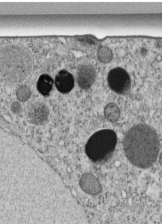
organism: C. elegans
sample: C. elegans embryo early stage